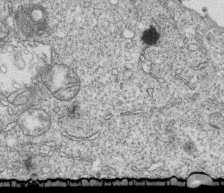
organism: Human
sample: HeLa cell HIV synapse